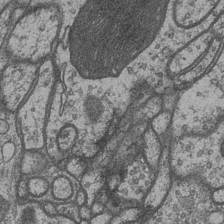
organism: Drosophila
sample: Optic medulla